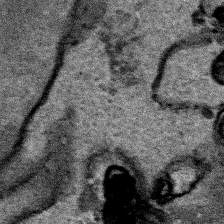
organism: Human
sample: Mitochondria in HCT116 cells